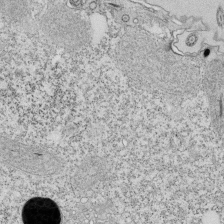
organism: Tetrahymena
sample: Cilia in tetrahymena